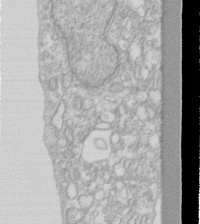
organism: Human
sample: Fibroblast cells